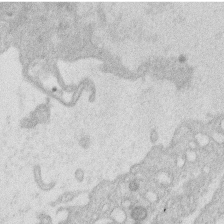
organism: Human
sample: Macrophage cells